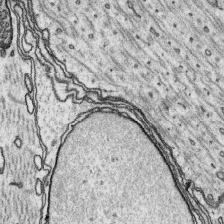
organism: Platynereis dumerilii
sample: Parapodia